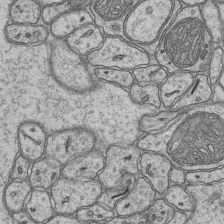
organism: Mouse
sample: CA1 Hippocampus